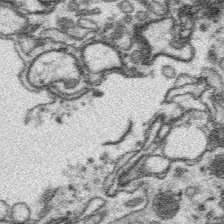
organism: Platynereis dumerilii